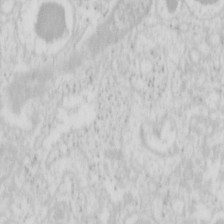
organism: Mouse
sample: Pancreas